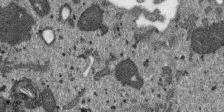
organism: Human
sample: Lung epithelial cells infected with SARS-CoV-2